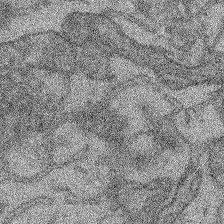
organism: Human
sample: HeLa cells